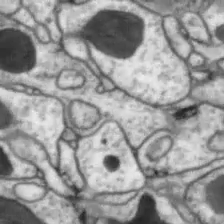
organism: Drosophila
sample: Optic lobe